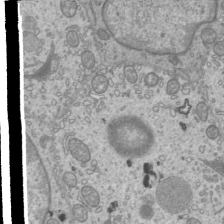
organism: Mouse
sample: Cilia; mouse epididymis